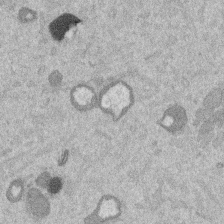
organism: Mouse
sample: Dividing mouse embryo 1 cell stage